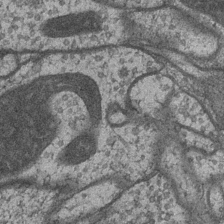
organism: Drosophila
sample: Optic medulla